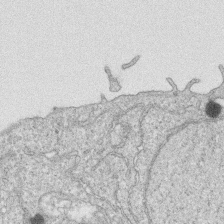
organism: Human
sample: HeLa cell HIV synapse